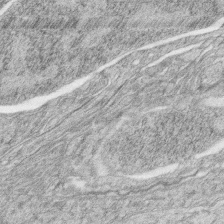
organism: Zebrafish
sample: synaptic ribbons in rod cells and cone cells